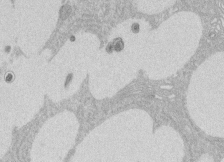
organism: Rat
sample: Salivary granule